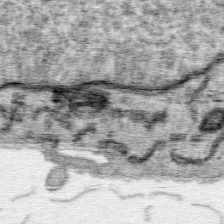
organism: Human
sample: HeLa cells